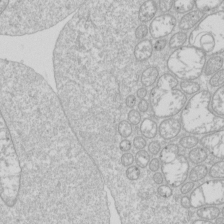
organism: Drosophila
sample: Cell division; meiosis; drosophila spermatocytes